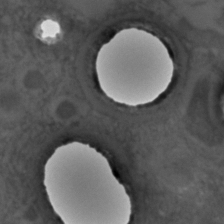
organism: C. elegans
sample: C. elegans embryo